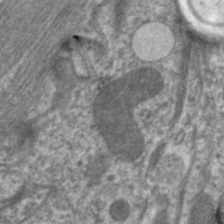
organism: C. elegans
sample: Pharynx